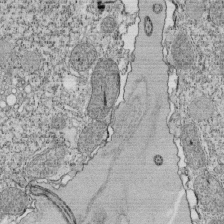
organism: Tetrahymena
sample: Cilia in tetrahymena